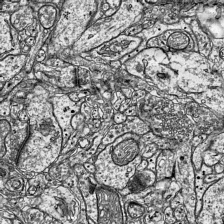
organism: Mouse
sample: Visual Cortex